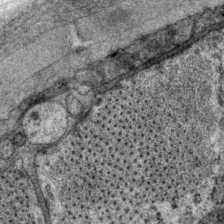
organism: P. pacificus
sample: Pharynx